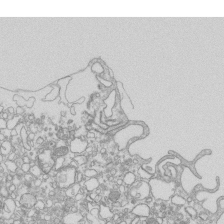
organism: Mouse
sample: Macrophages